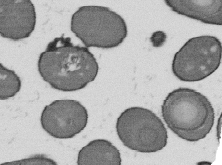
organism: B. subtilis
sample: Bacterial spore